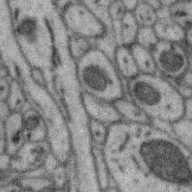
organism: Zebra finch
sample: Brain